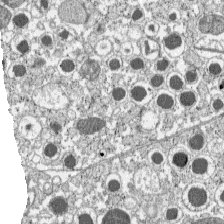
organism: C57BL Mouse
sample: Pancreatic islet